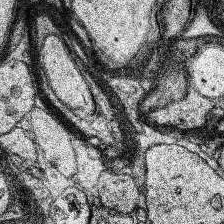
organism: Human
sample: Temporal Lobe